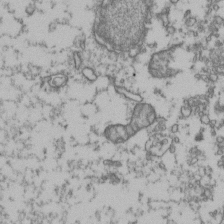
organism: Human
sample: Activated Jurkat CD4+ T cells